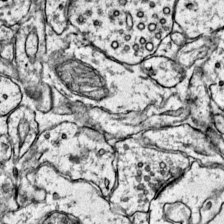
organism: Mouse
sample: Primary visual cortex